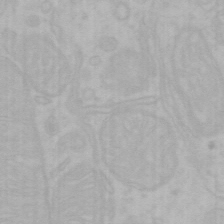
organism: Mouse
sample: Choroid plexus